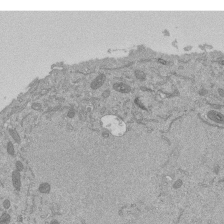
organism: Mouse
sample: ED-1 cell nuclei; centrioles